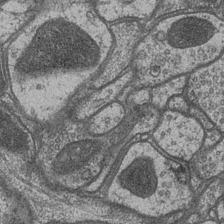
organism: Drosophila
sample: Optic medulla